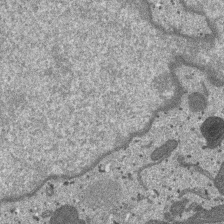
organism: Human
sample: Lung epithelial cells infected with SARS-CoV-2